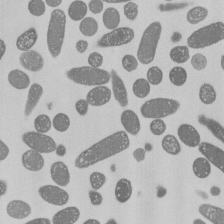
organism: E. coli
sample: Bacterial nucleoid